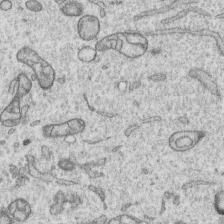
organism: Human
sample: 1205lu cells